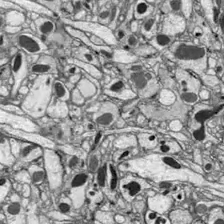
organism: Drosophila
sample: Optic lobe